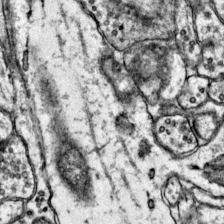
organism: Mouse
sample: Primary visual cortex